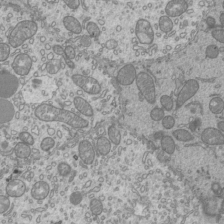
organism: Mouse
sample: Cilia; mouse epididymis